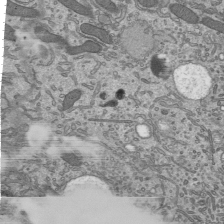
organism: Mouse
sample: Mouse epididymis efferent ductule cilia